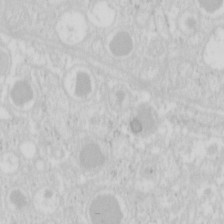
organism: Mouse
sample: Pancreas